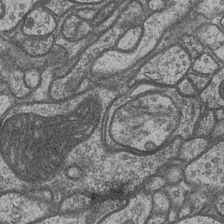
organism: Drosophila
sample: Optic medulla